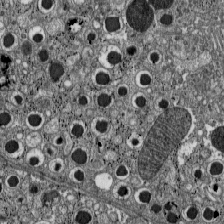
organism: C57BL Mouse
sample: Pancreatic islet